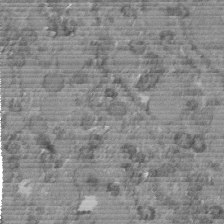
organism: C. elegans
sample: C. elegans embryo early stage